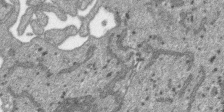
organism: Human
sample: Lung epithelial cells infected with SARS-CoV-2